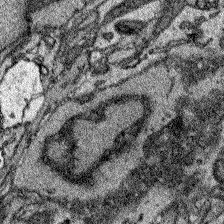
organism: Zebrafish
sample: Larval olfactory bulb